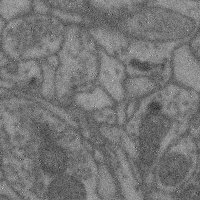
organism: Mouse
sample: Cerebral cortex